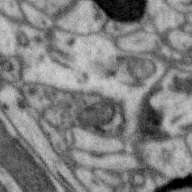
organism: Zebra finch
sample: Brain